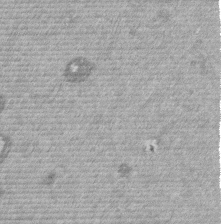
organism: Mouse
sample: Dividing mouse embryo 1 cell stage